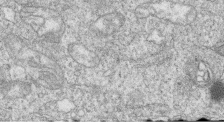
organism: Human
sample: HeLa cell HIV synapse